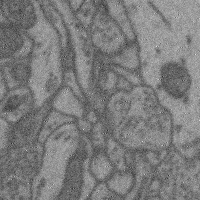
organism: Mouse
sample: Cerebral cortex